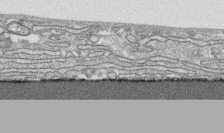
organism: Human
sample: CRL-1474